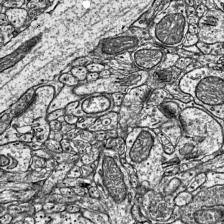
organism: Mouse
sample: Visual Cortex